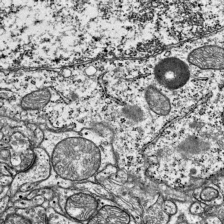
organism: Mouse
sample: Visual Cortex